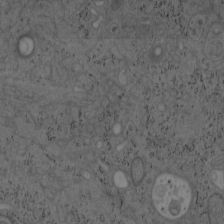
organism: Mouse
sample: OT-I killer T cells with ID8 ovarian cancer cells